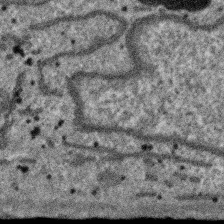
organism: Human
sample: Lung epithelial cells infected with SARS-CoV-2